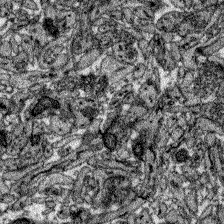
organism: Zebrafish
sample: Larval olfactory bulb